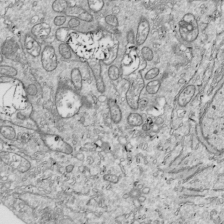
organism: Drosophila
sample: Cell division; meiosis; drosophila spermatocytes